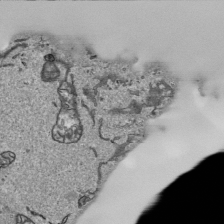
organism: Human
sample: Mitochondria in HCT116 cells